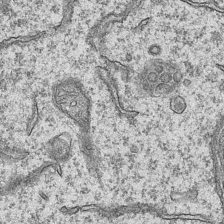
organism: Mouse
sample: CA1 Hippocampus